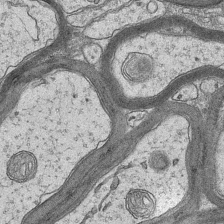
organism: Mouse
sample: CA1 Hippocampus